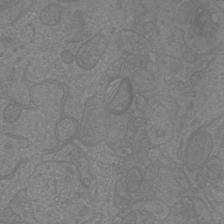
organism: Mouse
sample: Cortical neurons